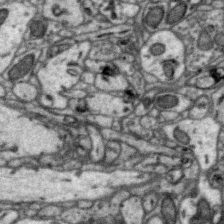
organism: Zebra finch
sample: Brain